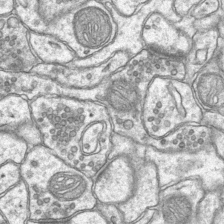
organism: Mouse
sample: CA1 Hippocampus